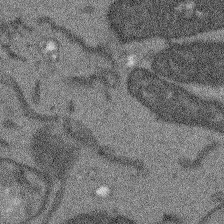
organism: Arabidopsis thaliana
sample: Root tip